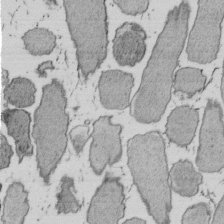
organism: E. coli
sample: Bacterial nucleoid